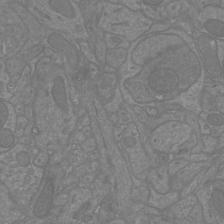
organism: Mouse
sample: Cortical neurons